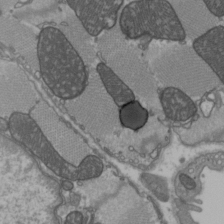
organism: C57BL Mouse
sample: Heart